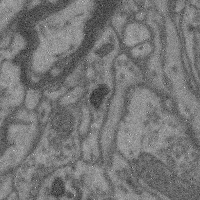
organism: Mouse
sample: Cerebral cortex